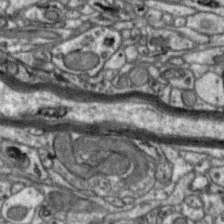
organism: Zebra finch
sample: Brain